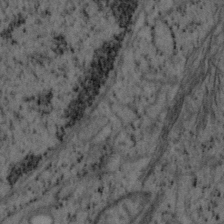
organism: Human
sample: HeLa cells